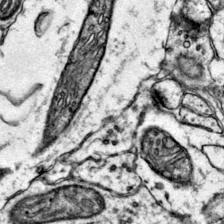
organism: Mouse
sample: Primary visual cortex